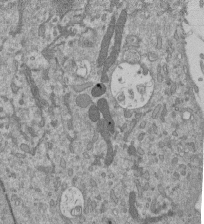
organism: Mouse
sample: ED-1 cell nuclei; centrioles